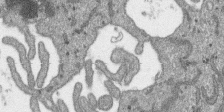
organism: Human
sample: Lung epithelial cells infected with SARS-CoV-2